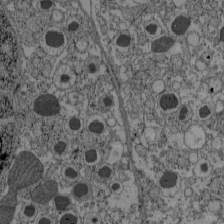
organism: C57BL Mouse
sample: Pancreatic islet